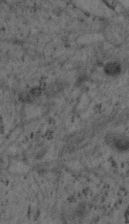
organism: Human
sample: HeLa cells